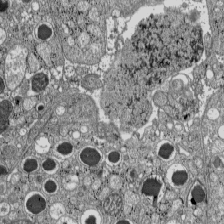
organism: C57BL Mouse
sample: Pancreatic islet